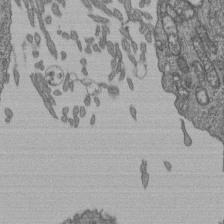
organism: Human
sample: Retinal organoid Rod and Cone cells